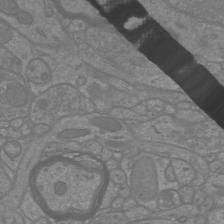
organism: Mouse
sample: Cortical neurons